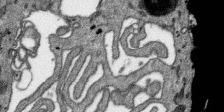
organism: Human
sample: Lung epithelial cells, uninfected (mock) control